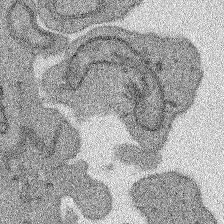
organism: Human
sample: HeLa cells